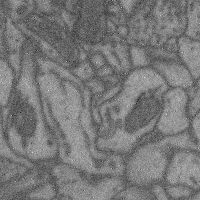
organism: Mouse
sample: Cerebral cortex